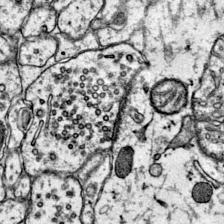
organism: Mouse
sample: Primary visual cortex